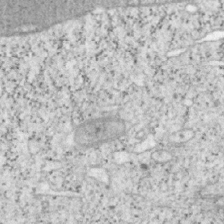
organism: Mouse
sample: OT-I killer T cells with ID8 ovarian cancer cells